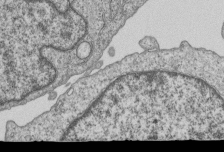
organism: Human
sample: MDA-MB-231 cells